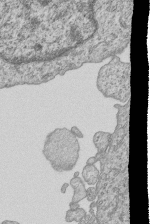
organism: Human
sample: MDA-MB-231 cells